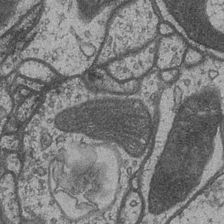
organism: Drosophila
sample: Optic medulla